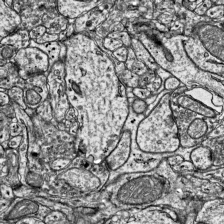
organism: Mouse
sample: Visual Cortex